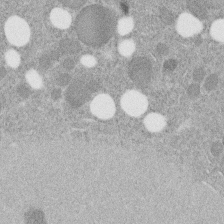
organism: C. elegans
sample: C. elegans embryo early stage